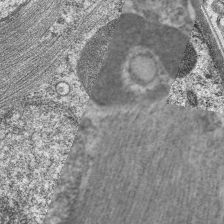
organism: C. elegans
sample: Pharynx